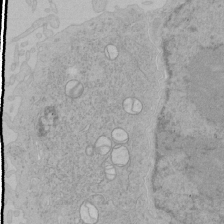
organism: Human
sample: Mitochondria in HCT116 cells